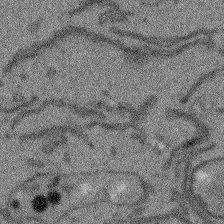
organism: Arabidopsis thaliana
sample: Root tip